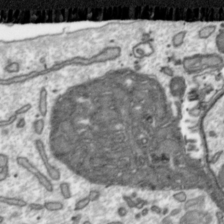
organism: Toxoplasma gondii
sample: Parasites in a vacuole inside a host cell